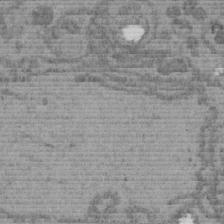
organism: C. elegans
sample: C. elegans embryo early stage